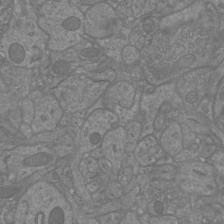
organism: Mouse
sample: Cortical neurons